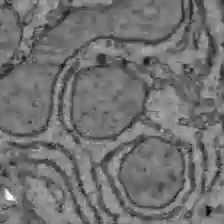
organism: C57BL Mouse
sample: Liver